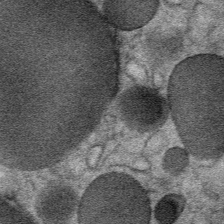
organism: Mouse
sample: Mouse Salivary gland